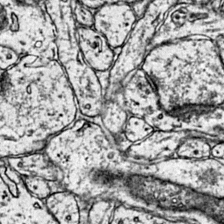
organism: Mouse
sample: Primary visual cortex